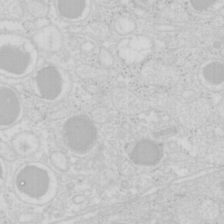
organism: Mouse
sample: Pancreas